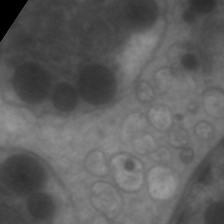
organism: C. elegans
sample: Pharynx